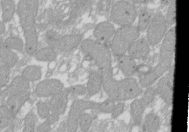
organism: Xenopus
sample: Cilia; centrioles in frog embryo cells